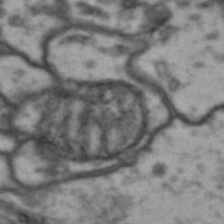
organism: Drosophila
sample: Brain